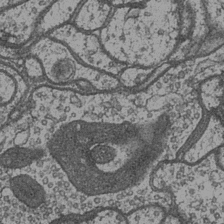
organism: Drosophila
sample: Optic medulla